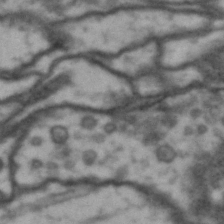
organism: Drosophila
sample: Brain